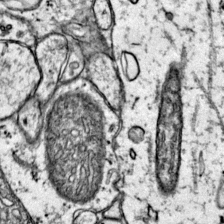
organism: Mouse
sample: Primary visual cortex